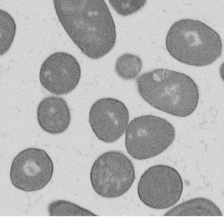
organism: B. subtilis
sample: Bacterial spore